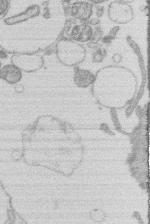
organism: Human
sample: Macrophage cells